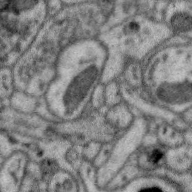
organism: Zebra finch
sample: Brain